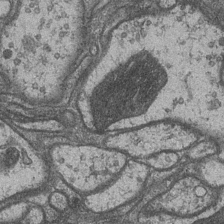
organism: Drosophila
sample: Optic medulla